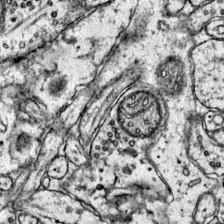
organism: Mouse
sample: Primary visual cortex